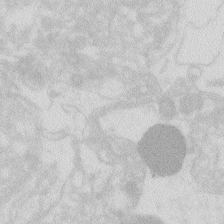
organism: Zebrafish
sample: Macrophage